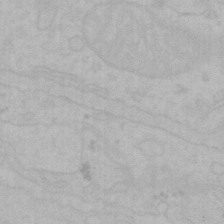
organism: Mouse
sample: Choroid plexus